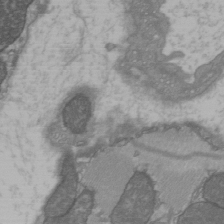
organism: C57BL Mouse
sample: Heart